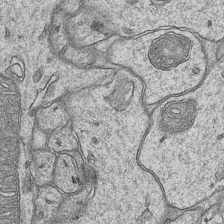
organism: Mouse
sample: CA1 Hippocampus